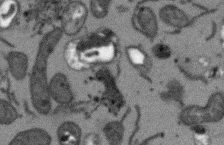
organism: Arabidopsis thaliana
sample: Root tip